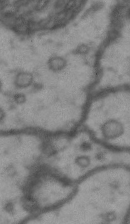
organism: Drosophila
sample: Brain